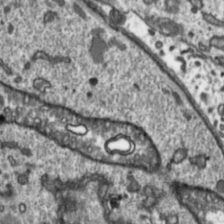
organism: Toxoplasma gondii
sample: Parasites in a vacuole inside a host cell